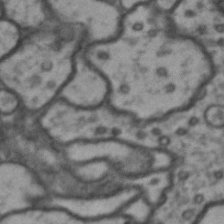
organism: Drosophila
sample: Brain